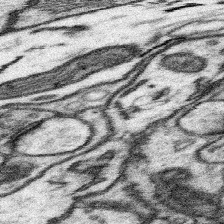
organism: Mouse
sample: Somatosensory cortex neuropil